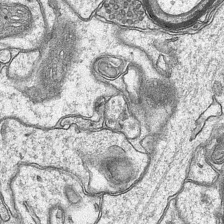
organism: Mouse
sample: CA1 Hippocampus